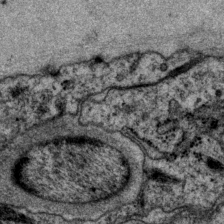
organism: P. pacificus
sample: Pharynx